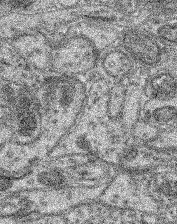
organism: Mouse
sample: Retina